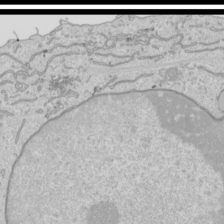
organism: Human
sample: Mitochondria in HCT116 cells